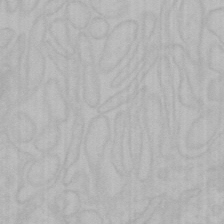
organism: Mouse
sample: Choroid plexus